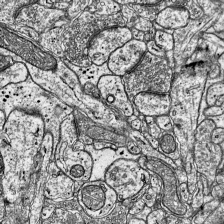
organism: Mouse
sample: Visual Cortex